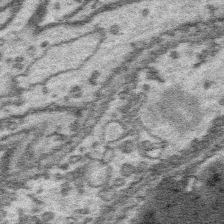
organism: Platynereis dumerilii